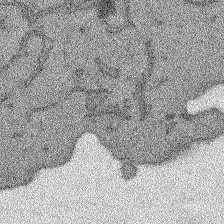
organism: Human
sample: HeLa cells